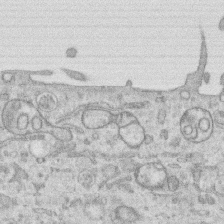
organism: Human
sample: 1205lu cells